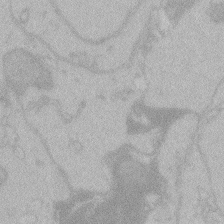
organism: Zebrafish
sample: Macrophage infected with Toxoplasma gondii